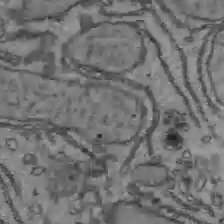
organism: C57BL Mouse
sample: Liver